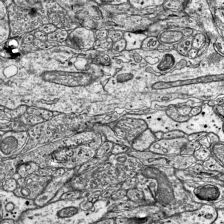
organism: Mouse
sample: Visual Cortex